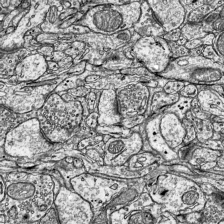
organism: Mouse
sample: Visual Cortex